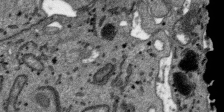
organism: Human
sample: Lung epithelial cells, uninfected (mock) control